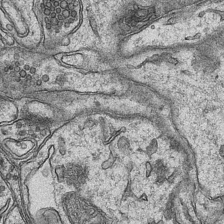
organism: Mouse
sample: CA1 Hippocampus